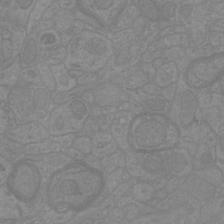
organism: Mouse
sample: Cortical neurons